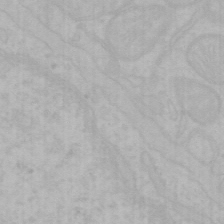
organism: Mouse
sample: Choroid plexus